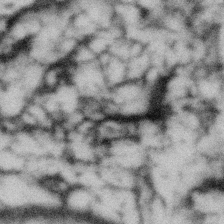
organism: Gemmata obscuriglobus